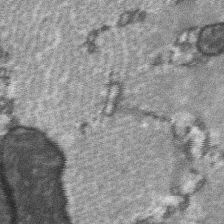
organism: C57BL Mouse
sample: Soleus